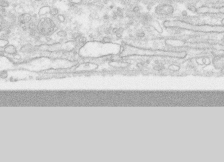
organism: Human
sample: CRL-1474